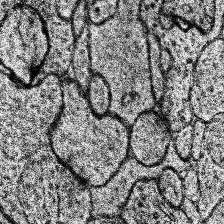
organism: Human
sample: Temporal Lobe